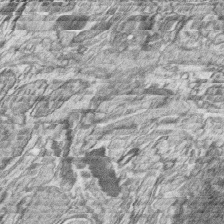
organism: Zebrafish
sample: synaptic ribbons in rod cells and cone cells